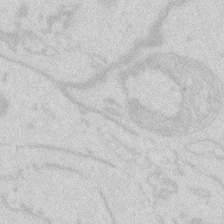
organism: Zebrafish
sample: Macrophage